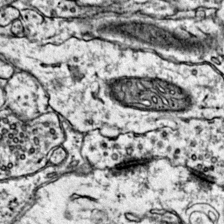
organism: Mouse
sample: Primary visual cortex